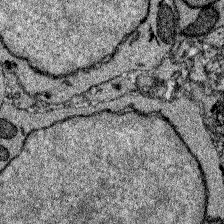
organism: Zebrafish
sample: Larval olfactory bulb